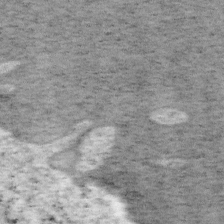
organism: Mouse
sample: OT-I killer T cells with ID8 ovarian cancer cells